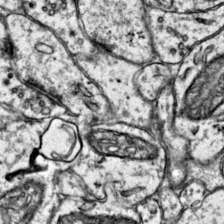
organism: Mouse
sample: Primary visual cortex